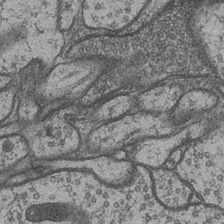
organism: Drosophila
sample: Optic medulla